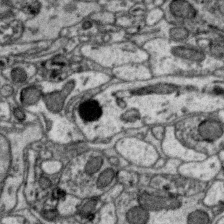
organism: Zebra finch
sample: Brain